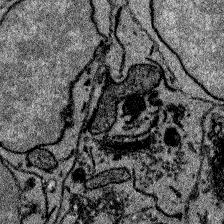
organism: Zebrafish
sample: Larval olfactory bulb